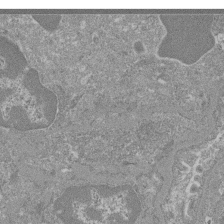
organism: Mouse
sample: Glomerulus